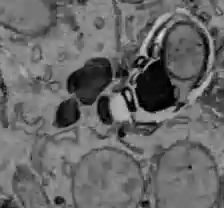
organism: C57BL Mouse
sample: Liver